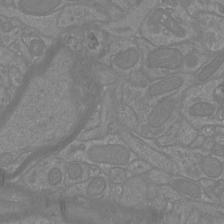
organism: Mouse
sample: Cortical neurons